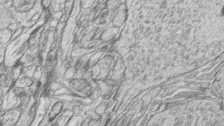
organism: Zebrafish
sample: synaptic ribbons in rod cells and cone cells